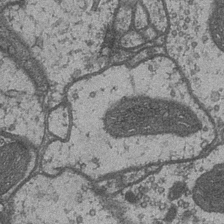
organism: Drosophila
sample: Optic medulla